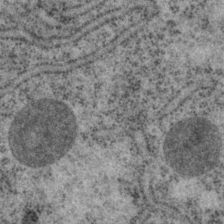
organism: P. pacificus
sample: Pharynx